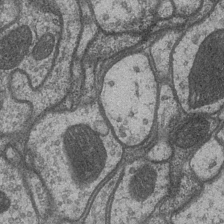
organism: Drosophila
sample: Optic medulla